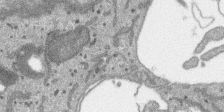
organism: Human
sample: Lung epithelial cells infected with SARS-CoV-2